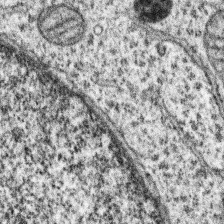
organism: Human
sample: HeLa cells